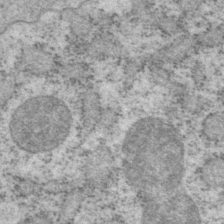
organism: P. pacificus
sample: Pharynx